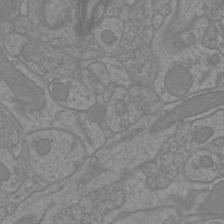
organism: Mouse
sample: Cortical neurons